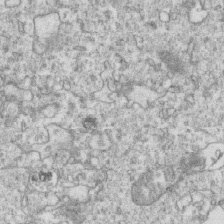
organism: Mouse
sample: Activated OT-1 CD8+ T cells